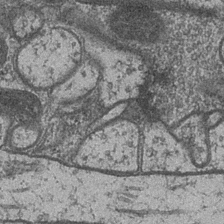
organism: Drosophila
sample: Optic medulla